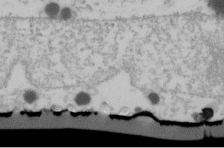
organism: Human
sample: U2-OS cells